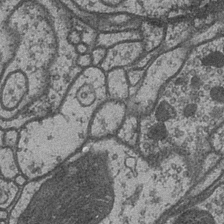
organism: Drosophila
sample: Optic medulla